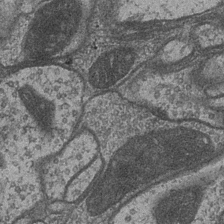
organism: Drosophila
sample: Optic medulla